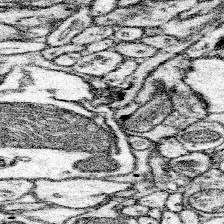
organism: Mouse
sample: Somatosensory cortex neuropil